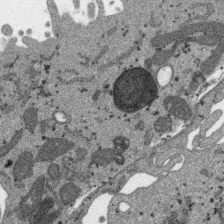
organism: Human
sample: Lung epithelial cells infected with SARS-CoV-2